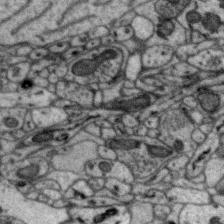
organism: Zebra finch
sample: Brain